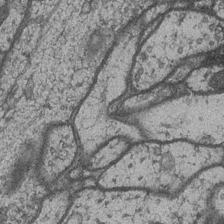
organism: Drosophila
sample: Optic medulla